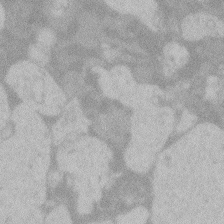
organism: Zebrafish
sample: Macrophage infected with Toxoplasma gondii